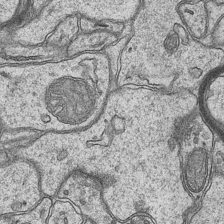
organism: Mouse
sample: CA1 Hippocampus